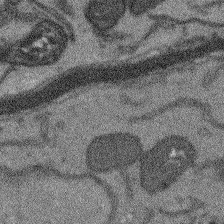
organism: Arabidopsis thaliana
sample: Root tip